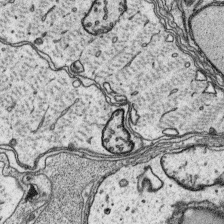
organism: Platynereis dumerilii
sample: Parapodia